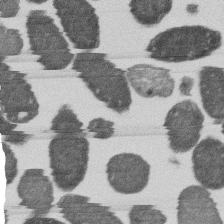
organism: E. coli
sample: Bacterial nucleoid